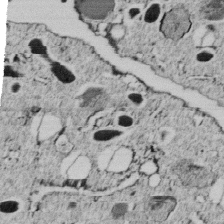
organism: C. elegans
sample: C. elegans embryo early stage